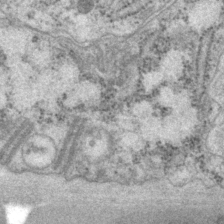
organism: P. pacificus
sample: Pharynx